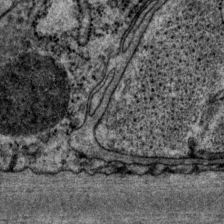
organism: P. pacificus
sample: Pharynx